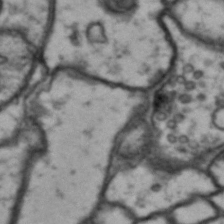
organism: Drosophila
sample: Brain